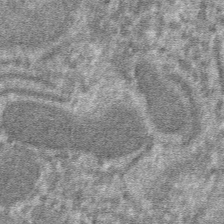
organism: Mouse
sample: Mouse hepatocytes